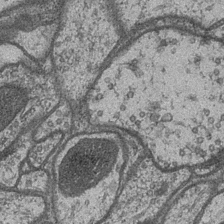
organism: Drosophila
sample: Optic medulla